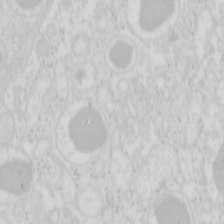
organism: Mouse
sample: Pancreas